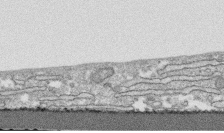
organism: Human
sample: CRL-1474